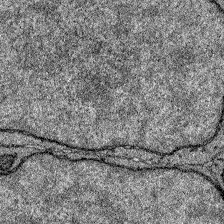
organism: Zebrafish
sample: Larval olfactory bulb